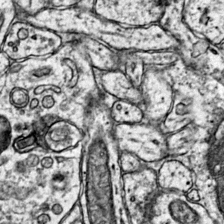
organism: Mouse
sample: Primary visual cortex